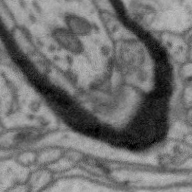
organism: Zebra finch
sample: Brain